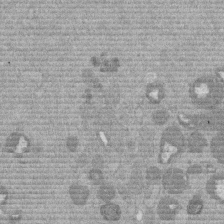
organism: Mouse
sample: Dividing mouse embryo 1 cell stage